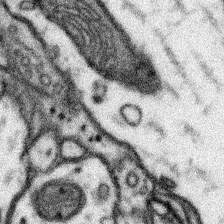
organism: Mouse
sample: Somatosensory cortex neuropil